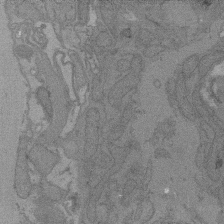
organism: C. elegans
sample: AFD neurons C. elegans